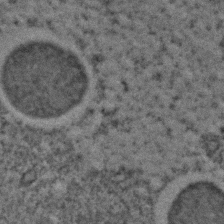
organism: C. elegans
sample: C. elegans embryo